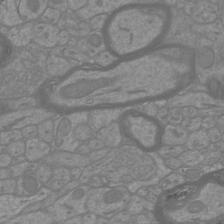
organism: Mouse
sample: Cortical neurons